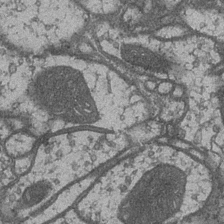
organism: Drosophila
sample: Optic medulla